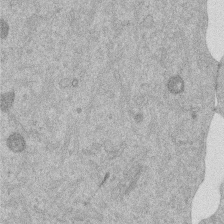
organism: Mouse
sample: Dividing mouse embryo 1 cell stage